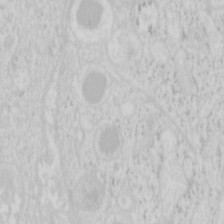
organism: Mouse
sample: Pancreas